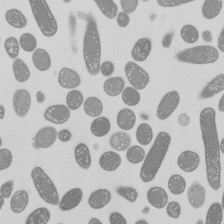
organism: E. coli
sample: Bacterial nucleoid